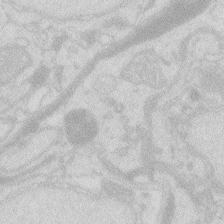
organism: Zebrafish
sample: Macrophage